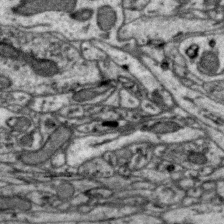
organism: Zebra finch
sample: Brain